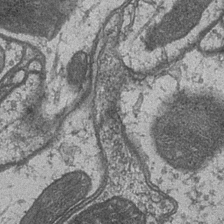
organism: Drosophila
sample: Optic medulla